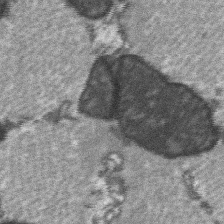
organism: C57BL Mouse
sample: Soleus